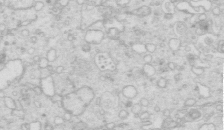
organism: Mouse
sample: Multiciliated cells